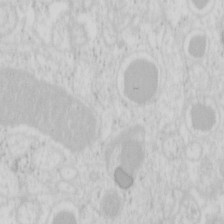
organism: Mouse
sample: Pancreas